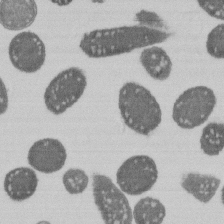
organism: E. coli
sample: Bacterial nucleoid